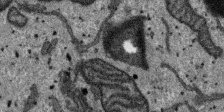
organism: Human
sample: Lung epithelial cells, uninfected (mock) control